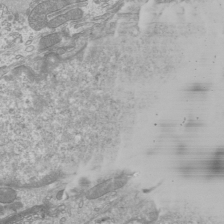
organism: Mouse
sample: Cilia; mouse epididymis